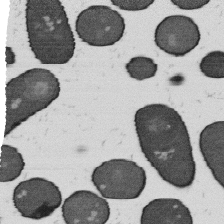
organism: B. subtilis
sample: Bacterial spore